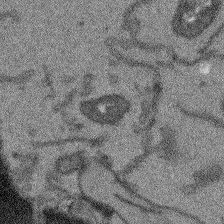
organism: Arabidopsis thaliana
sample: Root tip